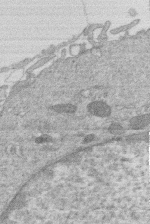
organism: Human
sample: Macrophage cells